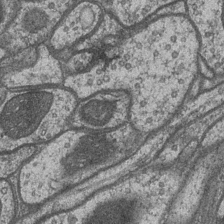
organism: Drosophila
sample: Optic medulla